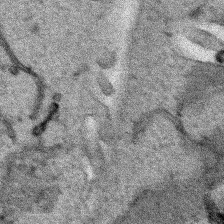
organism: Human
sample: Mitochondria in HCT116 cells